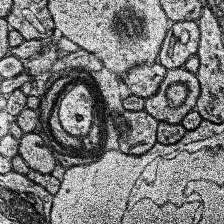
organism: Human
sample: Temporal Lobe